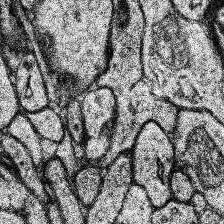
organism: Human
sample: Temporal Lobe